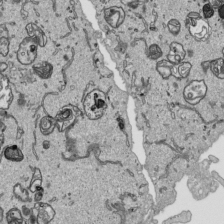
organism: Human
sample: Mitochondria in HCT116 cells